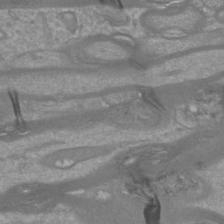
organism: Mouse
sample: Cortical neurons